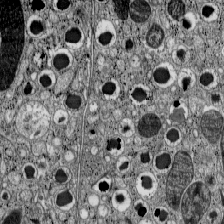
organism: C57BL Mouse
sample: Pancreatic islet